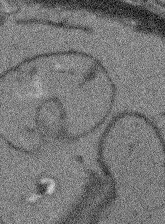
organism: Arabidopsis thaliana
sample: Root tip